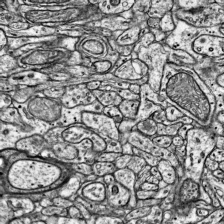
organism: Mouse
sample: Visual Cortex